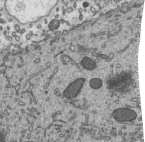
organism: Mouse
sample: Mouse epididymis efferent ductule cilia